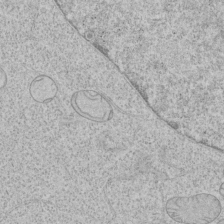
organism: Human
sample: Mitochondria in HCT116 cells